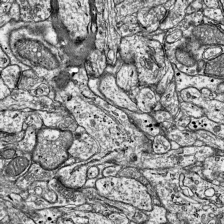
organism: Mouse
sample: Visual Cortex